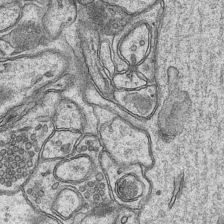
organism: Mouse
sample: CA1 Hippocampus